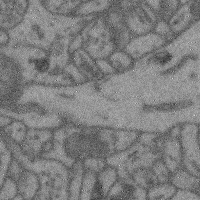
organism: Mouse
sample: Cerebral cortex